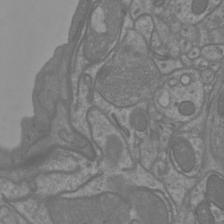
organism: Mouse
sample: Cortical neurons